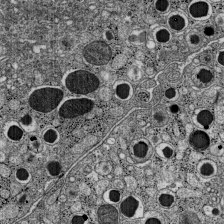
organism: C57BL Mouse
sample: Pancreatic islet